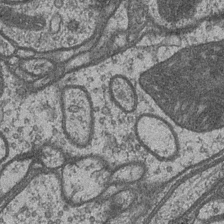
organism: Drosophila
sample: Optic medulla